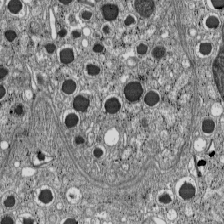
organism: C57BL Mouse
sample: Pancreatic islet